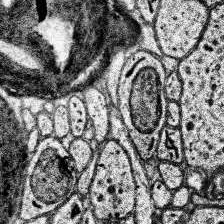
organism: Human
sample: Temporal Lobe